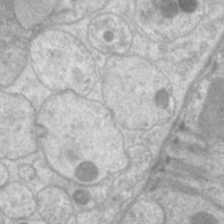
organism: C. elegans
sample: Pharynx